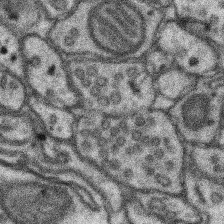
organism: Mouse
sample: Somatosensory cortex neuropil